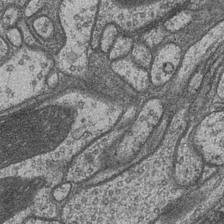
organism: Drosophila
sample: Optic medulla